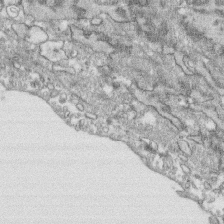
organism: Human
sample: CRL-1474